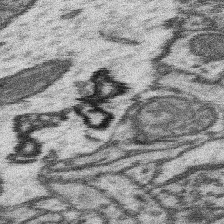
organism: Mouse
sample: Somatosensory cortex neuropil